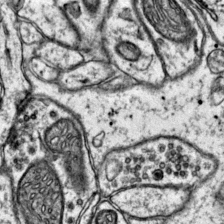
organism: Mouse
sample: Primary visual cortex